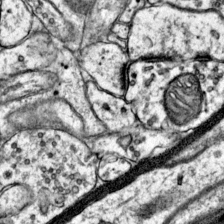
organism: Mouse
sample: Primary visual cortex